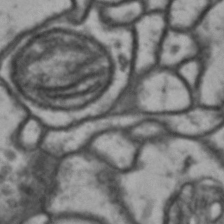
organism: Drosophila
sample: Brain